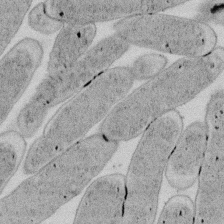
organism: E. coli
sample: Bacterial nucleoid